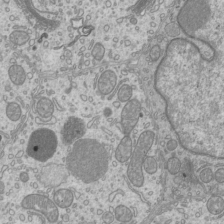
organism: Mouse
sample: Cilia; mouse epididymis